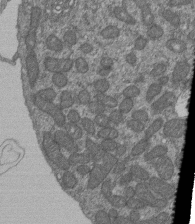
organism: Human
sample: Retinal organoid Rod and Cone cells